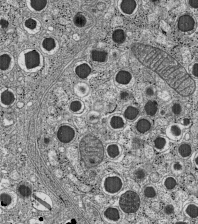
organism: C57BL Mouse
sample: Pancreatic islet